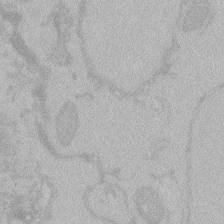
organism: Zebrafish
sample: Macrophage infected with Toxoplasma gondii